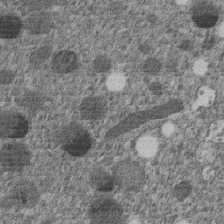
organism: C. elegans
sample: C. elegans embryo early stage